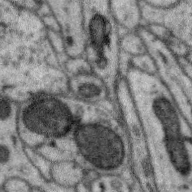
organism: Zebra finch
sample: Brain